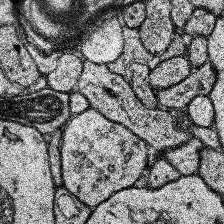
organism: Human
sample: Temporal Lobe